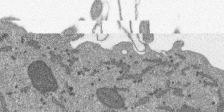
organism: Human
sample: Lung epithelial cells infected with SARS-CoV-2